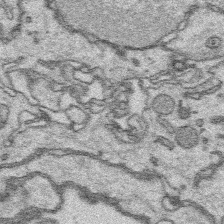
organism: Platynereis dumerilii